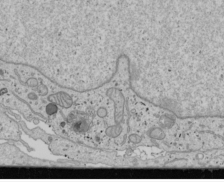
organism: Human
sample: Mitochondria in U2OS cells